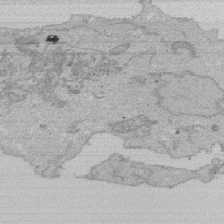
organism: Human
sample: Activated Jurkat CD4+ T cells